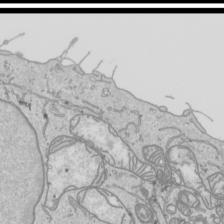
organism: Human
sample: Mitochondria in HCT116 cells